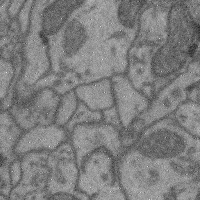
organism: Mouse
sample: Cerebral cortex